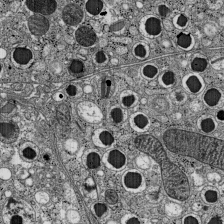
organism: C57BL Mouse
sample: Pancreatic islet